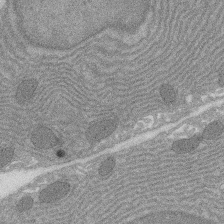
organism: Rat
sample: Salivary granule